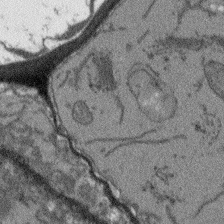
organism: Arabidopsis thaliana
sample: Root tip